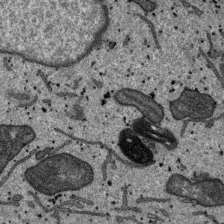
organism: Human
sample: Lung epithelial cells, uninfected (mock) control